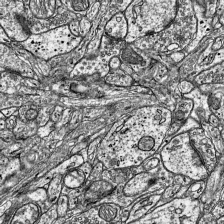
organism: Mouse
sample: Visual Cortex